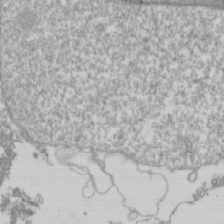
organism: Drosophila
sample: Cell division; meiosis; drosophila spermatocytes